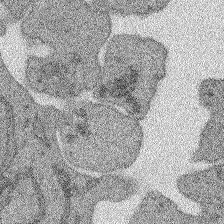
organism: Human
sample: HeLa cells